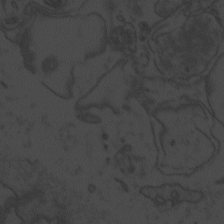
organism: Zebrafish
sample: Macrophage infected with Toxoplasma gondii